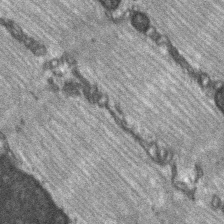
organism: C57BL Mouse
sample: Soleus